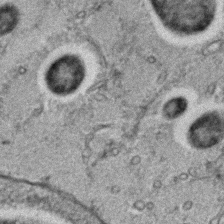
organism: C. elegans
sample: C. elegans embryo